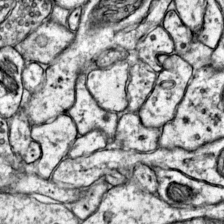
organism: Mouse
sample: Primary visual cortex